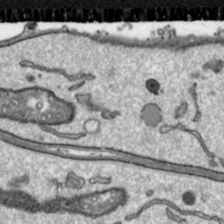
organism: Toxoplasma gondii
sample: Parasites in a vacuole inside a host cell